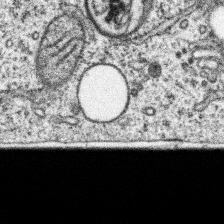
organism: Human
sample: HeLa cells